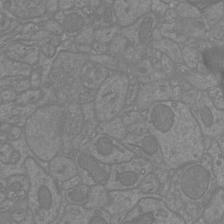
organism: Mouse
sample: Cortical neurons